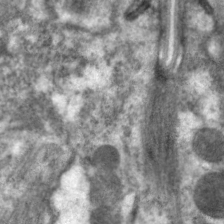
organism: C. elegans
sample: Pharynx